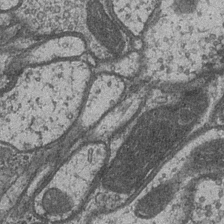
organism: Drosophila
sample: Optic medulla